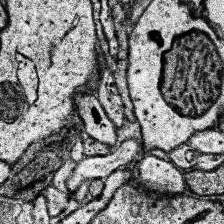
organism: Human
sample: Temporal Lobe